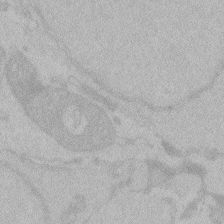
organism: Zebrafish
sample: Macrophage infected with Toxoplasma gondii